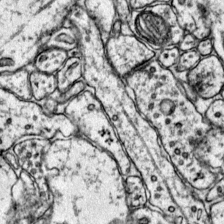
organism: Mouse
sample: Primary visual cortex